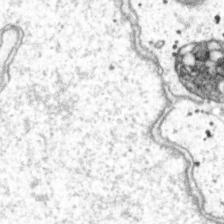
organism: Human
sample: HeLa cells